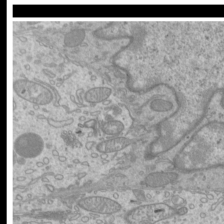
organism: Mouse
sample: Cilia; mouse epididymis